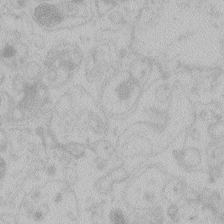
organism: Zebrafish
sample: Macrophage infected with Toxoplasma gondii